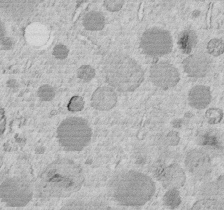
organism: C. elegans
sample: C. elegans embryo early stage